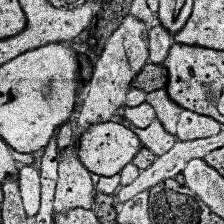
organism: Human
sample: Temporal Lobe